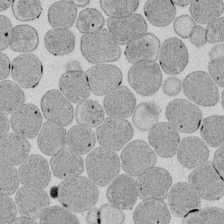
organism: E. coli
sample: Bacterial nucleoid